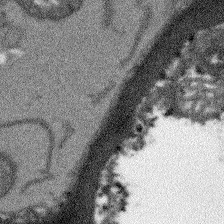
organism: Arabidopsis thaliana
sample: Root tip